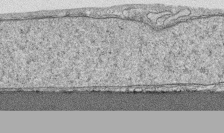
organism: Human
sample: CRL-1474